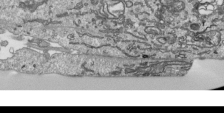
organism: Human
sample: Mitochondria in HCT116 cells